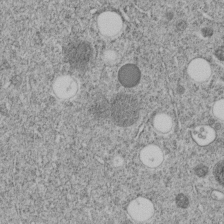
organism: C. elegans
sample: C. elegans embryo early stage